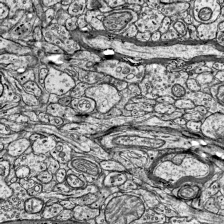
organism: Mouse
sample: Visual Cortex